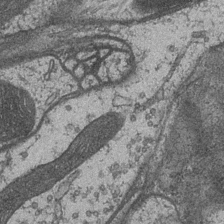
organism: Drosophila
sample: Optic medulla